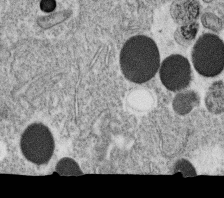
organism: C. elegans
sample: C. elegans oocyte; sperm cells